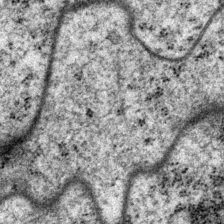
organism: P. pacificus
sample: Pharynx